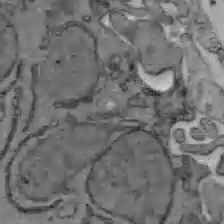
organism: C57BL Mouse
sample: Liver